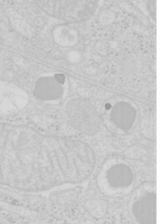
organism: Mouse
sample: Pancreas